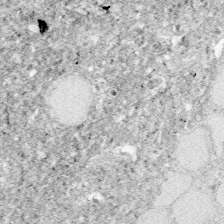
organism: Zebrafish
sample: Whole-Brain